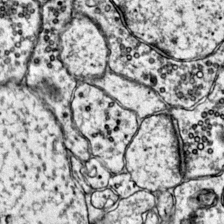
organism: Mouse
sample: Primary visual cortex